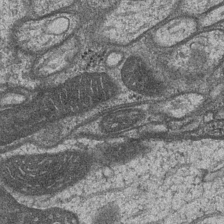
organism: Drosophila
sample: Optic medulla